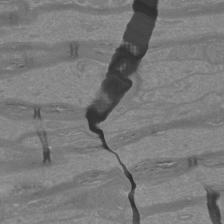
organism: Mouse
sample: Cortical neurons